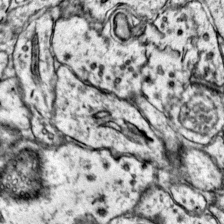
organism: Mouse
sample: Primary visual cortex